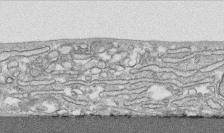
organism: Human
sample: CRL-1474